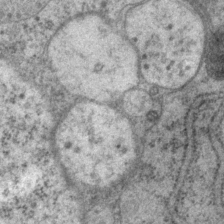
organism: P. pacificus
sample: Pharynx